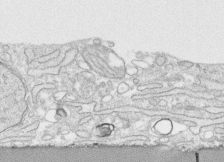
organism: Human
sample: CRL-1474